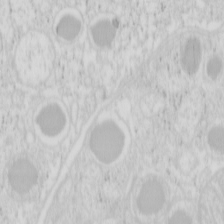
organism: Mouse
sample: Pancreas